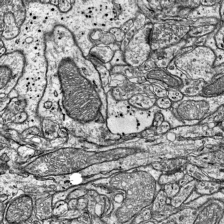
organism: Mouse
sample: Visual Cortex